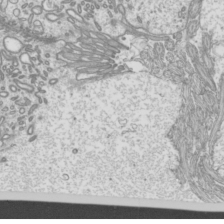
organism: Mouse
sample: Cilia; mouse epididymis